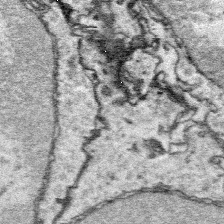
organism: Platynereis dumerilii